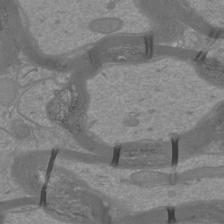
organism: Mouse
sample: Cortical neurons